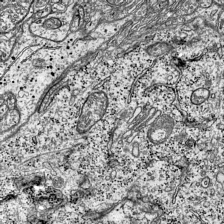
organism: Mouse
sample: Visual Cortex